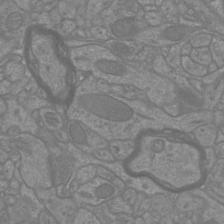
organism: Mouse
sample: Cortical neurons